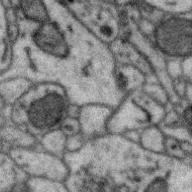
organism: Zebra finch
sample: Brain